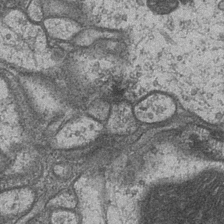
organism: Drosophila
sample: Optic medulla